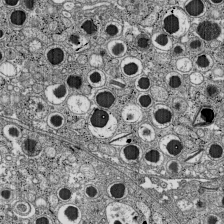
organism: C57BL Mouse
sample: Pancreatic islet